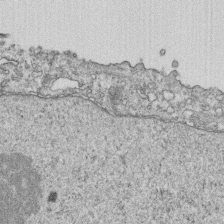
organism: Human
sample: HeLa cell HIV synapse